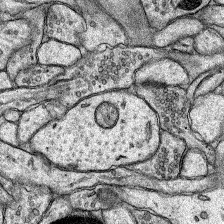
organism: Rat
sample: Hippocampus